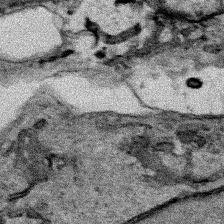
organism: Human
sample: Mitochondria in HCT116 cells